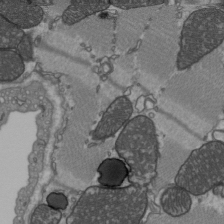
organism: C57BL Mouse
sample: Heart